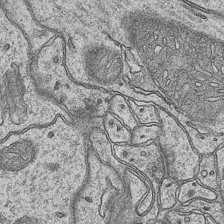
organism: Mouse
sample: CA1 Hippocampus